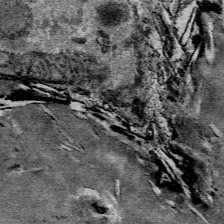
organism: Mouse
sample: Mouse Salivary gland